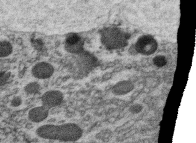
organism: C. elegans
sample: C. elegans oocyte; sperm cells